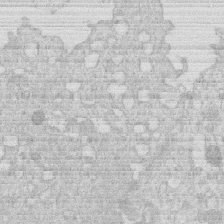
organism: Human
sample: Macrophage cells